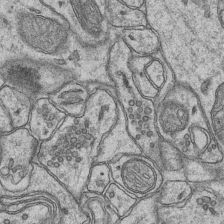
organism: Mouse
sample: CA1 Hippocampus